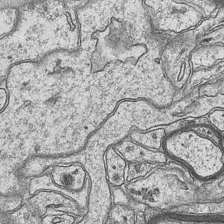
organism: Mouse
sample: CA1 Hippocampus